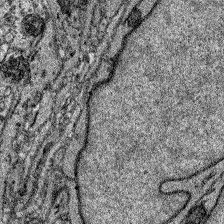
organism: Zebrafish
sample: Larval olfactory bulb